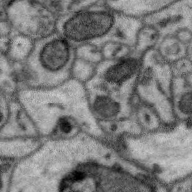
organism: Zebra finch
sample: Brain